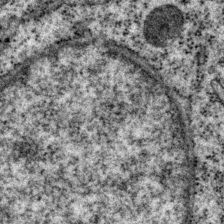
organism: P. pacificus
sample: Pharynx